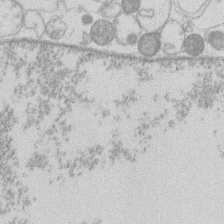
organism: Human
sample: Macrophage cells